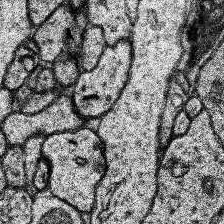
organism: Human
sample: Temporal Lobe